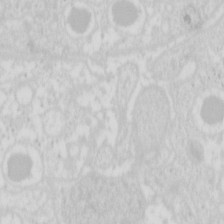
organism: Mouse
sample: Pancreas